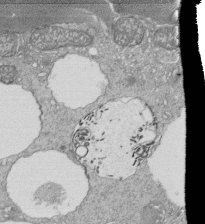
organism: Tetrahymena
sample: Cilia in tetrahymena